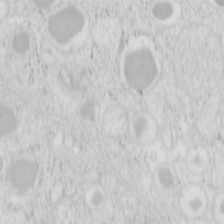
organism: Mouse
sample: Pancreas